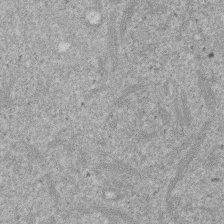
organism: Mouse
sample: Dividing mouse embryo 1 cell stage